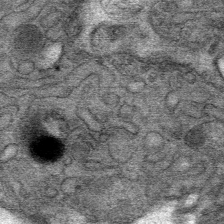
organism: Mouse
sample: Mouse Salivary gland